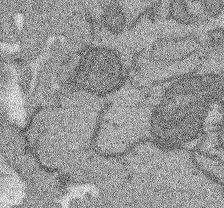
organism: Human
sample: HeLa cells